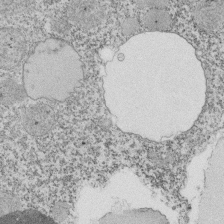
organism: Tetrahymena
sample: Cilia in tetrahymena